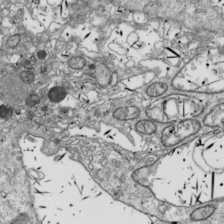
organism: Drosophila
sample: Cell division; meiosis; drosophila spermatocytes